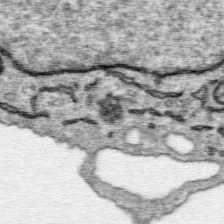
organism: Human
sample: HeLa cells